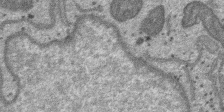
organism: Human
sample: Lung epithelial cells infected with SARS-CoV-2